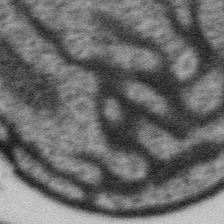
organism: Gemmata obscuriglobus